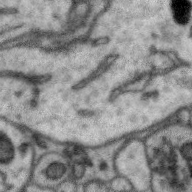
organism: Zebra finch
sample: Brain